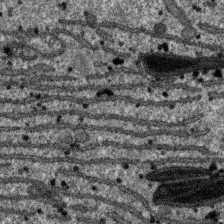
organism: Human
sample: Lung epithelial cells infected with SARS-CoV-2